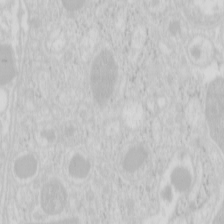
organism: Mouse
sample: Pancreas